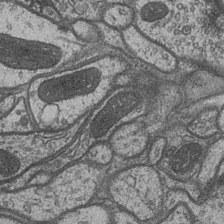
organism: Drosophila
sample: Optic medulla